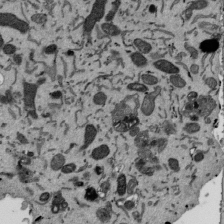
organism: Mouse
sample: ED-1 cell nuclei; centrioles